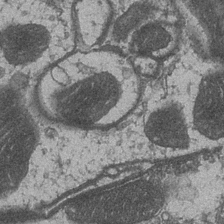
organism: Drosophila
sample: Optic medulla